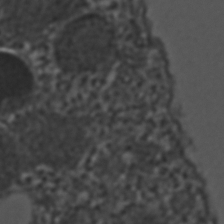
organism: C. elegans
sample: C. elegans embryo